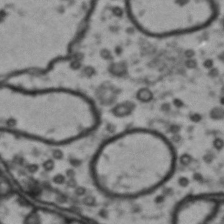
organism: Drosophila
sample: Brain